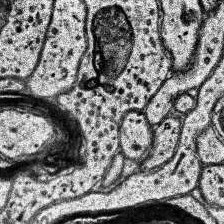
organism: Human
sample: Temporal Lobe